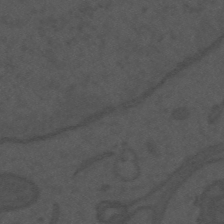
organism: Mouse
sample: Suprachiasmatic nucleus